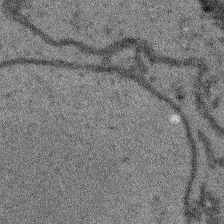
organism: Arabidopsis thaliana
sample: Root tip